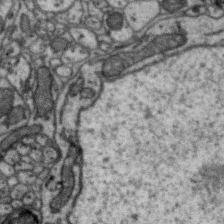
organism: Zebra finch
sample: Brain